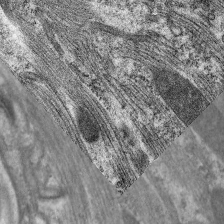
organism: C. elegans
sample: Pharynx